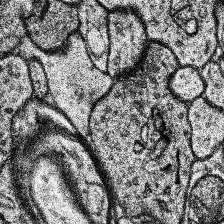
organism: Human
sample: Temporal Lobe